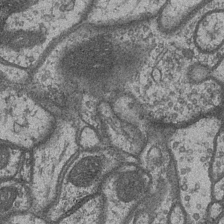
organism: Drosophila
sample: Optic medulla